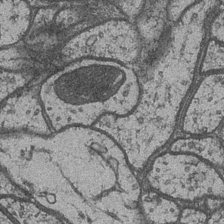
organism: Drosophila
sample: Optic medulla